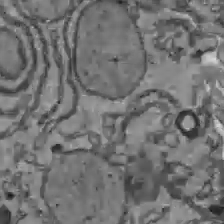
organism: C57BL Mouse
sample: Liver